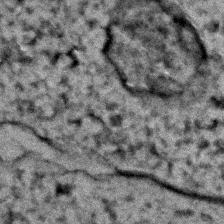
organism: Zebrafish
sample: Zebrafish embryo